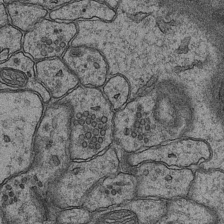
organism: Mouse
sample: CA1 Hippocampus